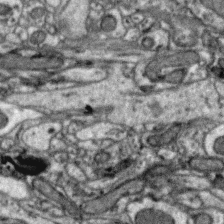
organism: Zebra finch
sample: Brain